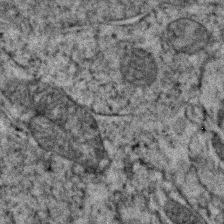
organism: Zebrafish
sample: Zebrafish embryo